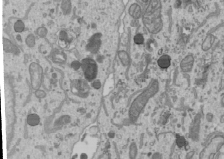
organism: Human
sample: Mitochondria in U2OS cells